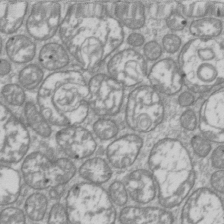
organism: Drosophila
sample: Cell division; meiosis; drosophila spermatocytes